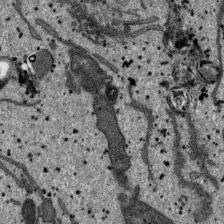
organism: Human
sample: Lung epithelial cells, uninfected (mock) control